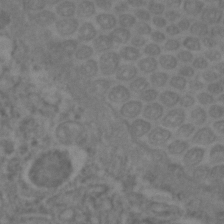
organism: C. elegans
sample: C. elegans embryo